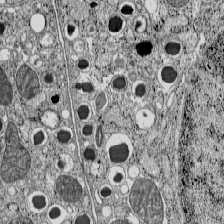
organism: C57BL Mouse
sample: Pancreatic islet